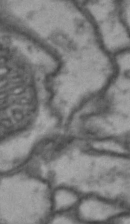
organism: Drosophila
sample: Brain